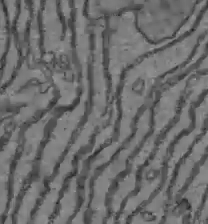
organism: C57BL Mouse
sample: Liver